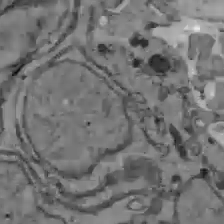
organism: C57BL Mouse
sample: Liver